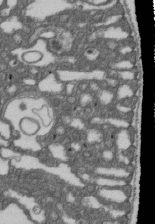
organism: Drosophila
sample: Nephrocyte